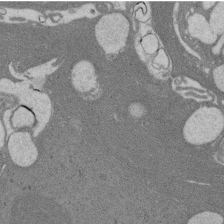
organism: Rat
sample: Salivary granule